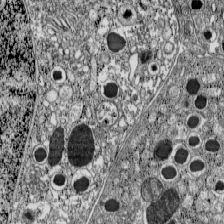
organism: C57BL Mouse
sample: Pancreatic islet